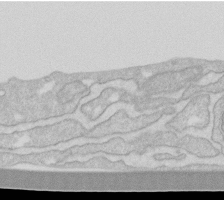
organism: Human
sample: Fibroblast cells